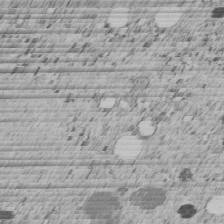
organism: C. elegans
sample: C. elegans embryo early stage